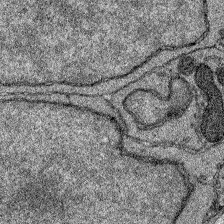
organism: Zebrafish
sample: Larval olfactory bulb